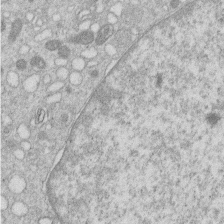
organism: Human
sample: Macrophage cells